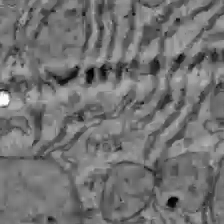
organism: C57BL Mouse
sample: Liver